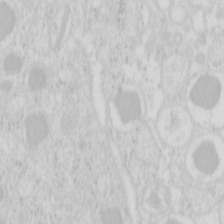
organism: Mouse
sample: Pancreas